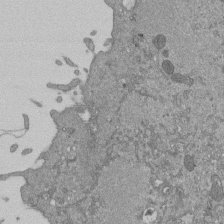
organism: Mouse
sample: ED-1 cell nuclei; centrioles